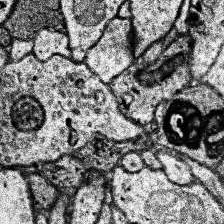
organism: Human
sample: Temporal Lobe